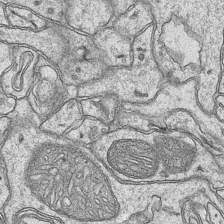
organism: Mouse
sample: CA1 Hippocampus